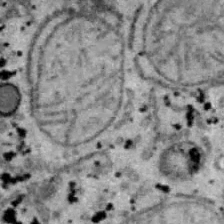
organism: Mouse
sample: Liver from an obese (ob/ob) mouse